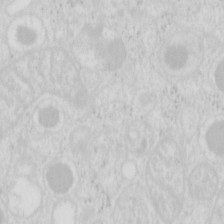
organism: Mouse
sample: Pancreas